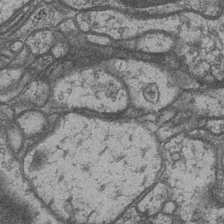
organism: Drosophila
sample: Optic medulla